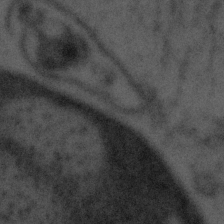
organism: Tuwongella immobilis